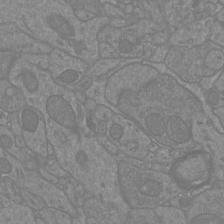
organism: Mouse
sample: Cortical neurons